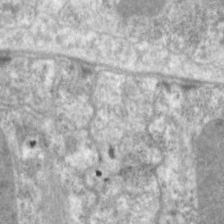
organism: C. elegans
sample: Pharynx